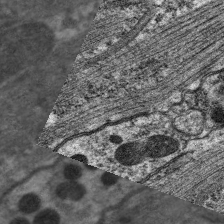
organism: C. elegans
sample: Pharynx